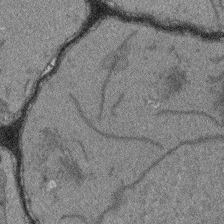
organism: Arabidopsis thaliana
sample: Root tip